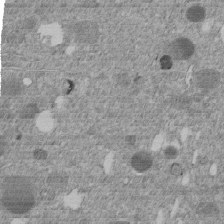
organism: C. elegans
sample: C. elegans embryo early stage